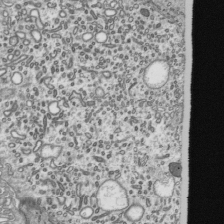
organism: Mouse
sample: Mouse epididymis efferent ductule cilia